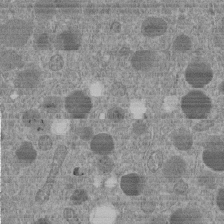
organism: C. elegans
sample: C. elegans embryo early stage